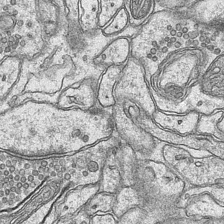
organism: Mouse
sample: CA1 Hippocampus